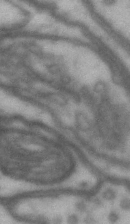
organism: Drosophila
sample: Brain